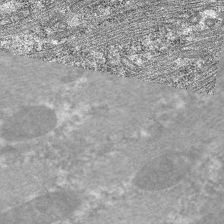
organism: C. elegans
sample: Pharynx